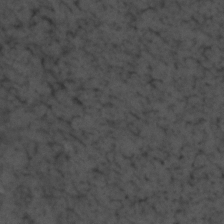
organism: Zebrafish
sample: Zebrafish embryo